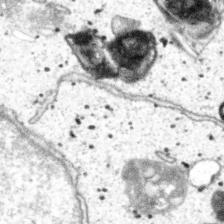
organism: Human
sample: HeLa cells